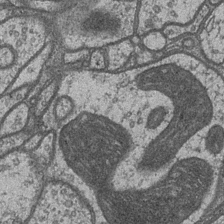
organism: Drosophila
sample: Optic medulla